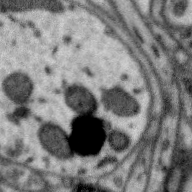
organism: Zebra finch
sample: Brain